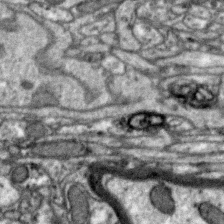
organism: Zebra finch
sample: Brain